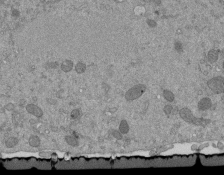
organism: Mouse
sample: ED-1 cell nuclei; centrioles